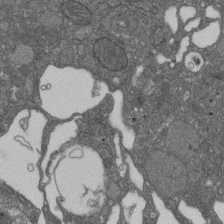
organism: Drosophila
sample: Nephrocyte